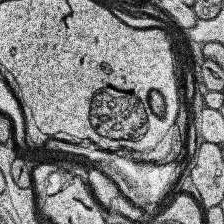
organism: Human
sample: Temporal Lobe